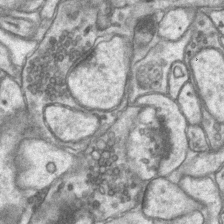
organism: Mouse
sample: CA1 Hippocampus